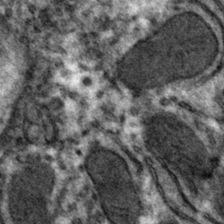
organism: Mouse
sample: Mouse hepatocytes